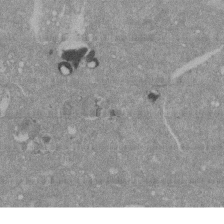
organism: Mouse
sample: ED-1 cell nuclei; centrioles